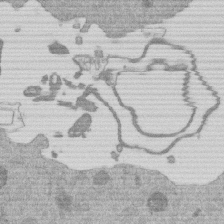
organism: Mouse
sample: Dividing mouse embryo 1 cell stage